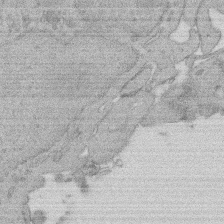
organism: Rat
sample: Salivary granule